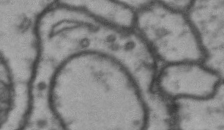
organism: Drosophila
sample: Brain